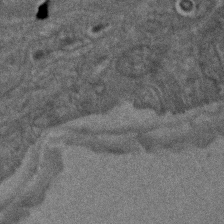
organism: C. elegans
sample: C. elegans embryo